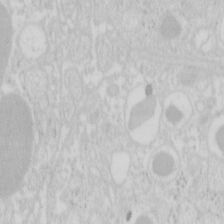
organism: Mouse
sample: Pancreas